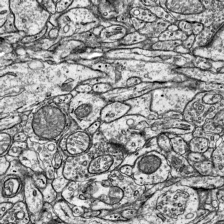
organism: Mouse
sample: Visual Cortex